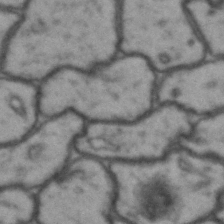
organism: Drosophila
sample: Brain